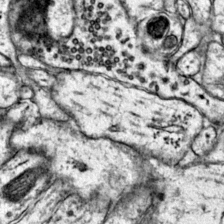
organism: Mouse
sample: Primary visual cortex